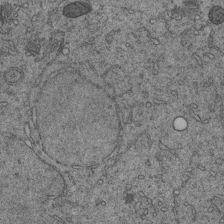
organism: C. elegans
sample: C. elegans embryo early stage